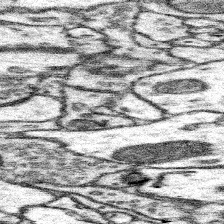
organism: Mouse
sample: Somatosensory cortex neuropil